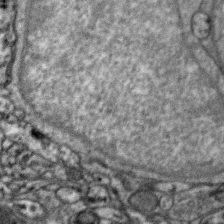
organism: Zebra finch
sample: Brain